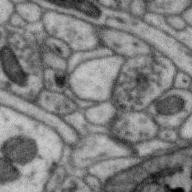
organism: Zebra finch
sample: Brain